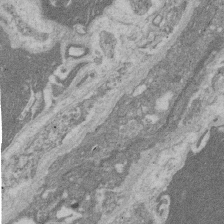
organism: Rat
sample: Salivary granule